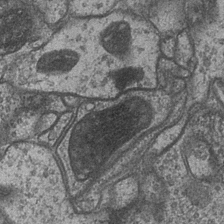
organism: Drosophila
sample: Optic medulla